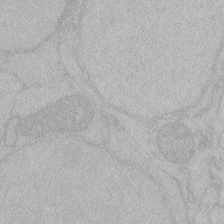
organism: Zebrafish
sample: Macrophage infected with Toxoplasma gondii